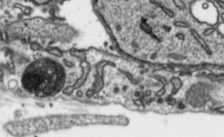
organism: Toxoplasma gondii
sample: Parasites in a vacuole inside a host cell